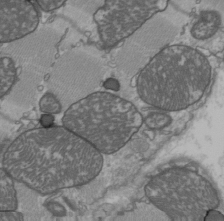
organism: C57BL Mouse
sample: Heart